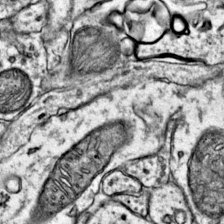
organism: Mouse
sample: Primary visual cortex